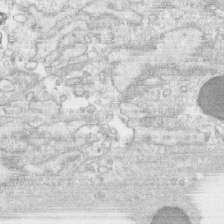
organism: Human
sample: CRL-1474